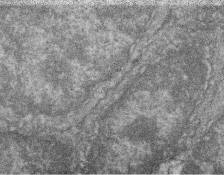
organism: Zebrafish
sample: Cilia; retinal pigment epithelium